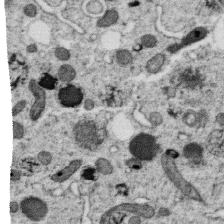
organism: C. elegans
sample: C. elegans oocyte; sperm cells